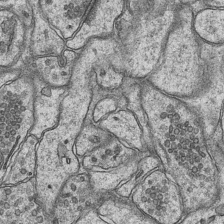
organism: Mouse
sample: CA1 Hippocampus